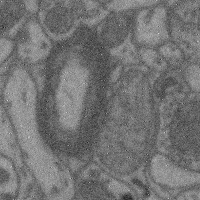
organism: Mouse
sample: Cerebral cortex